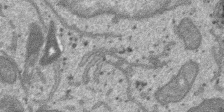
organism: Human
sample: Lung epithelial cells infected with SARS-CoV-2